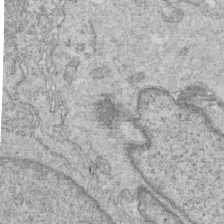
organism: Mouse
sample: Multiciliated cells